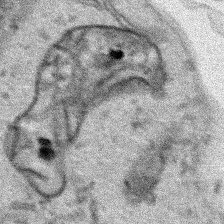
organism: Human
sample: Mitochondria in HCT116 cells